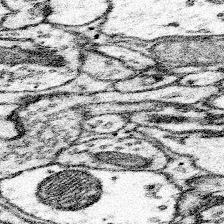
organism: Mouse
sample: Somatosensory cortex neuropil